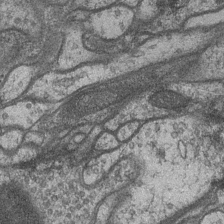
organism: Drosophila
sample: Optic medulla